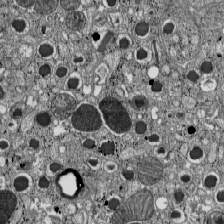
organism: C57BL Mouse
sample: Pancreatic islet